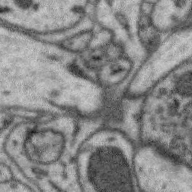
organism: Zebra finch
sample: Brain